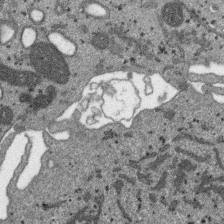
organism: Human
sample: Lung epithelial cells infected with SARS-CoV-2